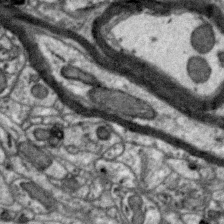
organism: Zebra finch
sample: Brain